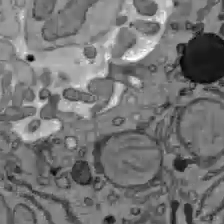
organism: C57BL Mouse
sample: Liver